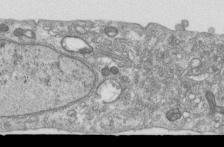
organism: Human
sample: Centriole in RPE cells